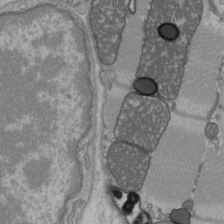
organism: C57BL Mouse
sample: Heart